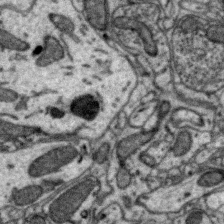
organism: Zebra finch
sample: Brain